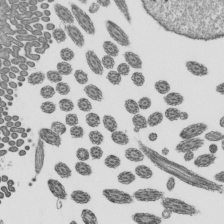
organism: Mouse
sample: Mouse epididymis efferent ductule cilia